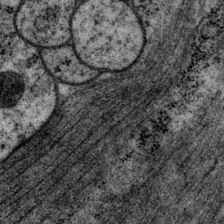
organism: P. pacificus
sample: Pharynx